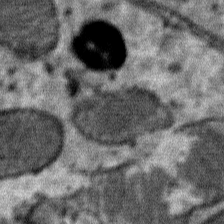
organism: Mouse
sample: Mouse Salivary gland